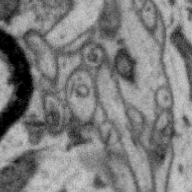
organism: Zebra finch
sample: Brain